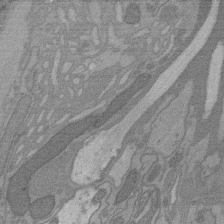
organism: C. elegans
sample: AFD neurons C. elegans